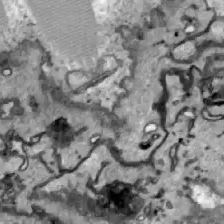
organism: Zebrafish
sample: Actinotrichia fibers